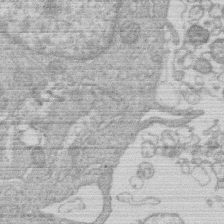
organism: Human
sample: Macrophage cells